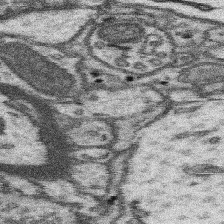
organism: Mouse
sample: Somatosensory cortex neuropil